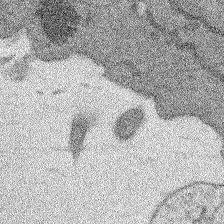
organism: Human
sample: HeLa cells